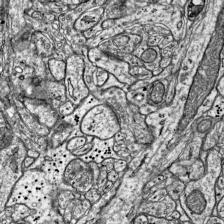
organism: Mouse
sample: Visual Cortex